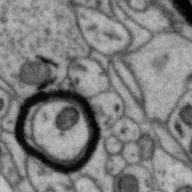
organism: Zebra finch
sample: Brain